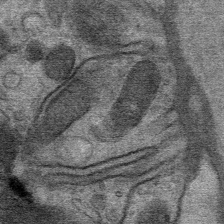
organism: Mouse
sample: Mouse Salivary gland